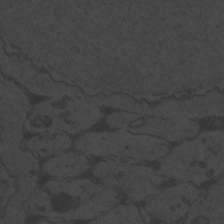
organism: Zebrafish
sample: Macrophage infected with Toxoplasma gondii